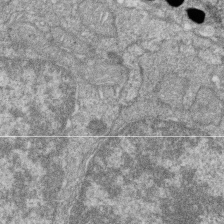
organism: Zebrafish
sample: Cilia; retinal pigment epithelium